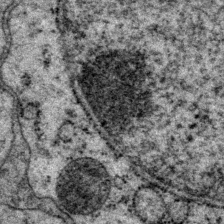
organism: P. pacificus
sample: Pharynx